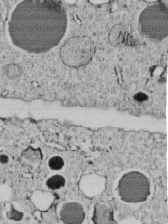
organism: C. elegans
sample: C. elegans embryo early stage